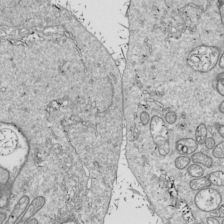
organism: Drosophila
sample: Cell division; meiosis; drosophila spermatocytes